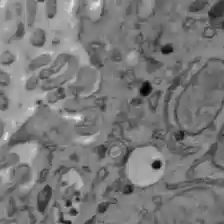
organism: C57BL Mouse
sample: Liver